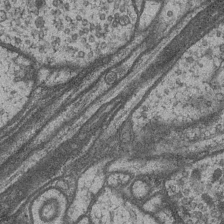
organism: Drosophila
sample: Optic medulla